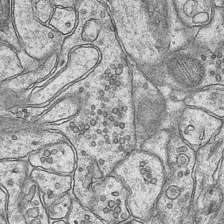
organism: Mouse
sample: CA1 Hippocampus